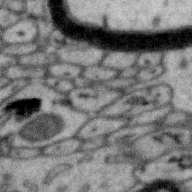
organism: Zebra finch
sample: Brain